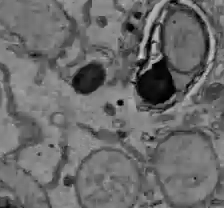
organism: C57BL Mouse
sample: Liver